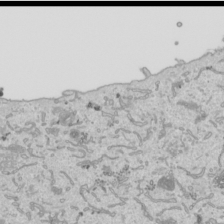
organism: Human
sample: Mitochondria in HCT116 cells